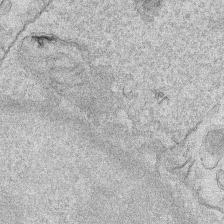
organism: Human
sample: Mitochondria in HCT116 cells